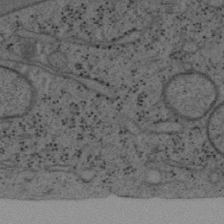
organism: Human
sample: HeLa cells